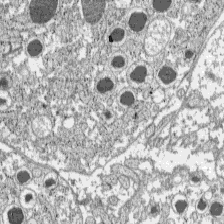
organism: C57BL Mouse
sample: Pancreatic islet